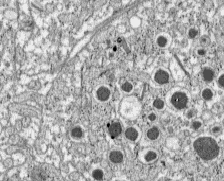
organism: C57BL Mouse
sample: Pancreatic islet